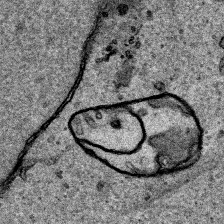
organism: Human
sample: Mitochondria in HCT116 cells